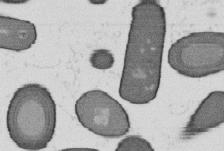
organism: B. subtilis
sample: Bacterial spore